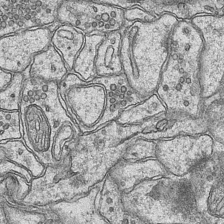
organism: Mouse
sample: CA1 Hippocampus